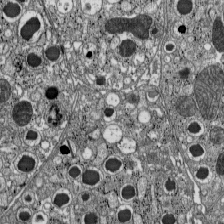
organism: C57BL Mouse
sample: Pancreatic islet